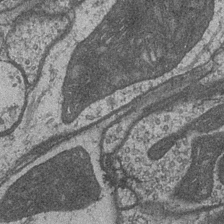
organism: Drosophila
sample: Optic medulla